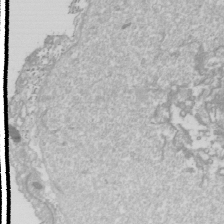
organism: Drosophila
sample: Cell division; meiosis; drosophila spermatocytes